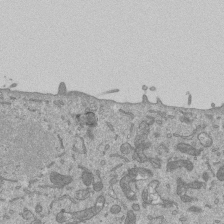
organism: Mouse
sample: ED-1 cell nuclei; centrioles